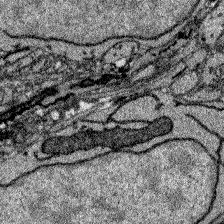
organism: Zebrafish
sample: Larval olfactory bulb